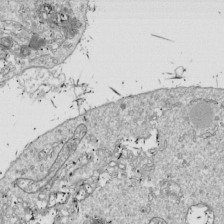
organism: Drosophila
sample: Cell division; meiosis; drosophila spermatocytes